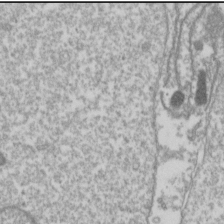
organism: Drosophila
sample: Cell division; meiosis; drosophila spermatocytes